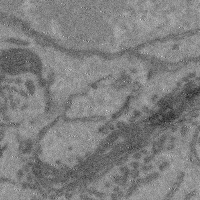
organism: Mouse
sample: Cerebral cortex